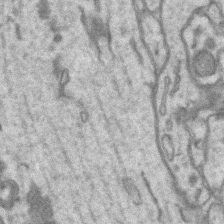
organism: Mouse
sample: CA1 Hippocampus